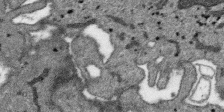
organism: Human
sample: Lung epithelial cells, uninfected (mock) control